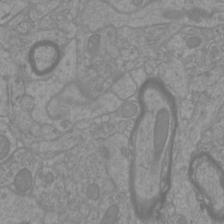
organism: Mouse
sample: Cortical neurons